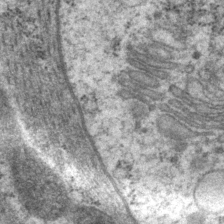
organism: P. pacificus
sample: Pharynx